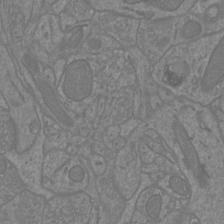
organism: Mouse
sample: Cortical neurons